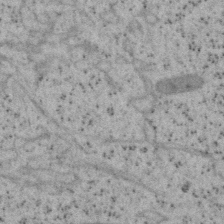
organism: Human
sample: HeLa cells